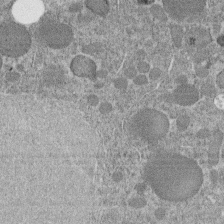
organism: C. elegans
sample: C. elegans embryo early stage